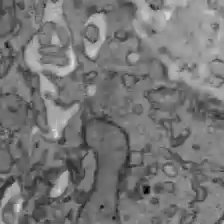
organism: C57BL Mouse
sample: Liver